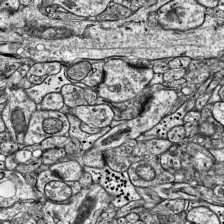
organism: Mouse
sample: Visual Cortex